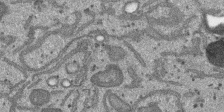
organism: Human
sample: Lung epithelial cells infected with SARS-CoV-2